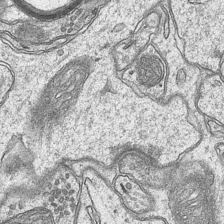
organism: Mouse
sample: CA1 Hippocampus